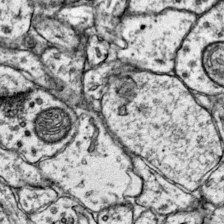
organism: Mouse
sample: Primary visual cortex